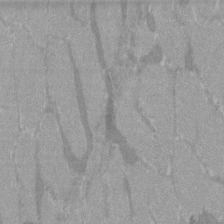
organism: C57BL Mouse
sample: Tibialis anterior muscle cell